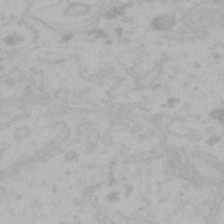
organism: Mouse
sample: Choroid plexus